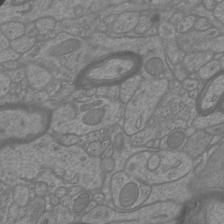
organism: Mouse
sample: Cortical neurons